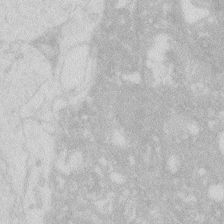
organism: Zebrafish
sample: Macrophage